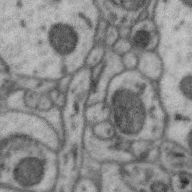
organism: Zebra finch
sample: Brain